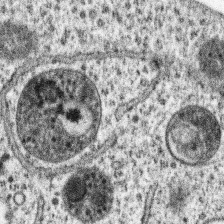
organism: Human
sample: HeLa cells